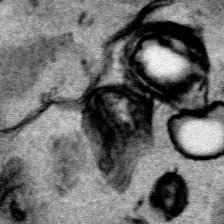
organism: Human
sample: Mitochondria in HCT116 cells